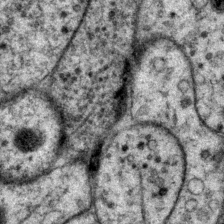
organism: P. pacificus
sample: Pharynx